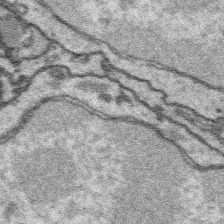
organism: Platynereis dumerilii